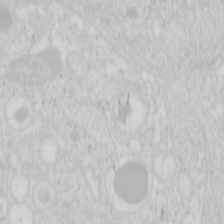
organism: Mouse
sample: Pancreas